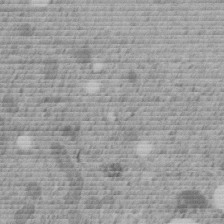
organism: C. elegans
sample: C. elegans embryo early stage